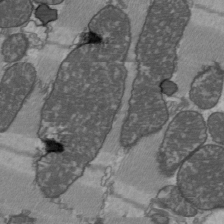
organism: C57BL Mouse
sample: Heart